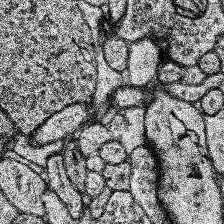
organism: Human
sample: Temporal Lobe